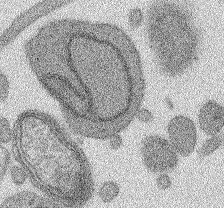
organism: Human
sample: HeLa cells